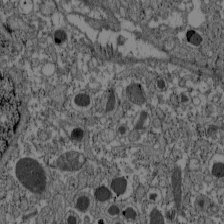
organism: C57BL Mouse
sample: Pancreatic islet